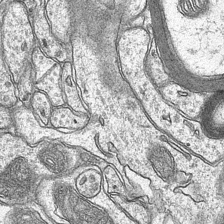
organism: Mouse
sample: CA1 Hippocampus